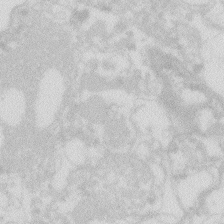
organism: Zebrafish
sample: Macrophage